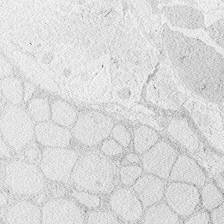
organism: Zebrafish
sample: Whole-Brain